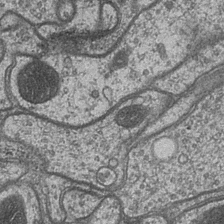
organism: Drosophila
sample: Optic medulla